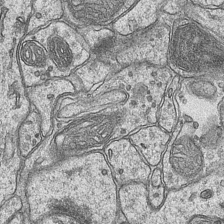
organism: Mouse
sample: CA1 Hippocampus